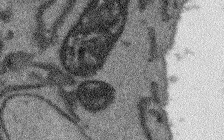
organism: Arabidopsis thaliana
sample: Root tip